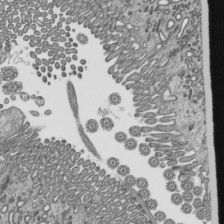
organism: Mouse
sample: Mouse epididymis efferent ductule cilia